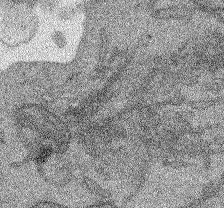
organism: Human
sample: HeLa cells